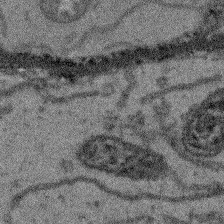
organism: Arabidopsis thaliana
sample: Root tip